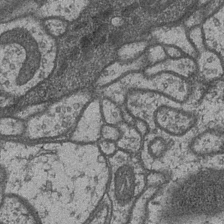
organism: Drosophila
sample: Optic medulla